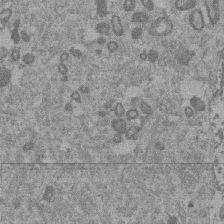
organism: Mouse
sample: Dividing mouse embryo 1 cell stage